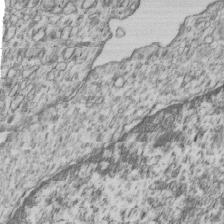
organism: Human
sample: MDA-MB-231 cells